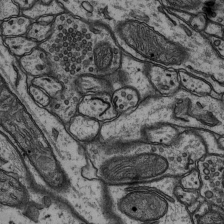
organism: Rat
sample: Hippocampus